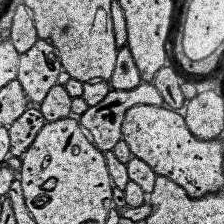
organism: Human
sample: Temporal Lobe